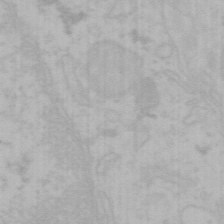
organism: Mouse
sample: Choroid plexus